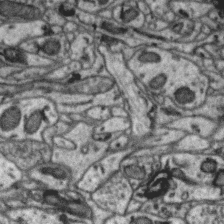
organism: Zebra finch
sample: Brain